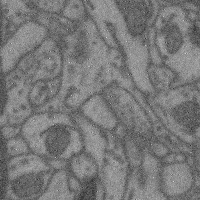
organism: Mouse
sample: Cerebral cortex